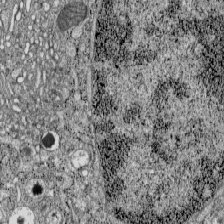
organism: C57BL Mouse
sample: Pancreatic islet